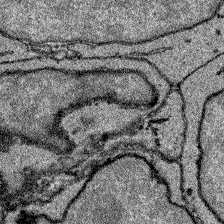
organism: Zebrafish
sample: Larval olfactory bulb